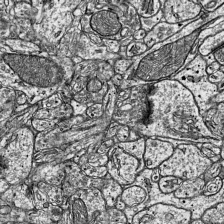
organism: Mouse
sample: Visual Cortex